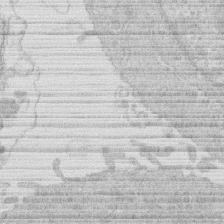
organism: Human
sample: Macrophage cells